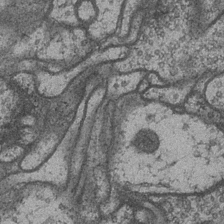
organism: Drosophila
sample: Optic medulla